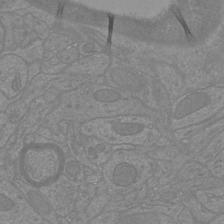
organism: Mouse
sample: Cortical neurons